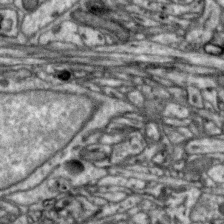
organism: Zebra finch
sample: Brain